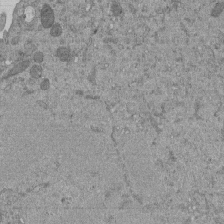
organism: Mouse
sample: ED-1 cell nuclei; centrioles